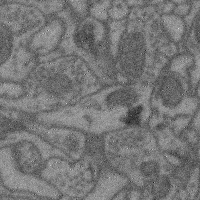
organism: Mouse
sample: Cerebral cortex